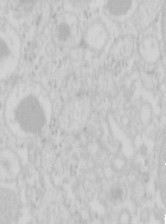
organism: Mouse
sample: Pancreas